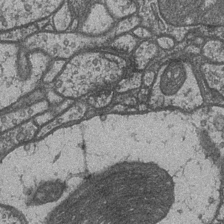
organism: Drosophila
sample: Optic medulla